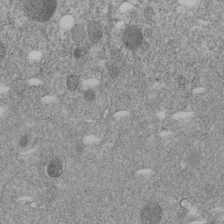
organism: C. elegans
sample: C. elegans embryo early stage